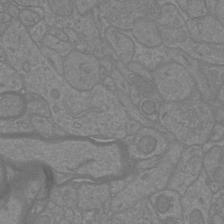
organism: Mouse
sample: Cortical neurons